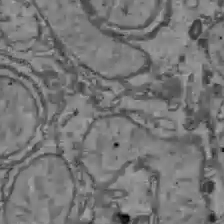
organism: C57BL Mouse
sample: Liver